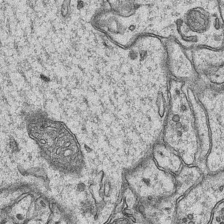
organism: Mouse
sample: CA1 Hippocampus